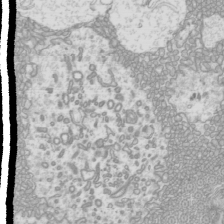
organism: Mouse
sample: Cilia; mouse epididymis